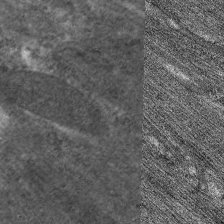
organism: C. elegans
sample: Pharynx